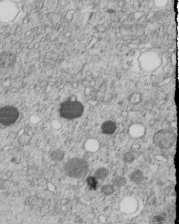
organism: C. elegans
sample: C. elegans embryo early stage